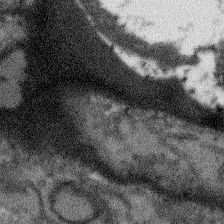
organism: Arabidopsis thaliana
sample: Root tip